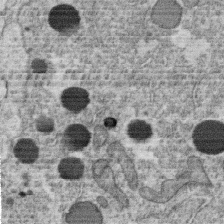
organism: C. elegans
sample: C. elegans oocyte; sperm cells